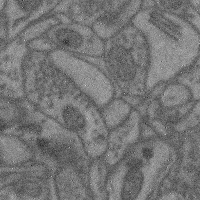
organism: Mouse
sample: Cerebral cortex